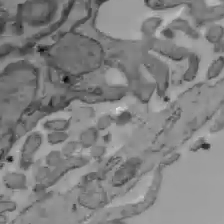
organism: C57BL Mouse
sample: Liver